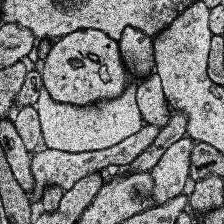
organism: Human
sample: Temporal Lobe